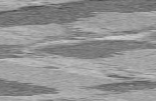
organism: C57BL Mouse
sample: Heart